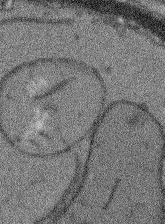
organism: Arabidopsis thaliana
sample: Root tip